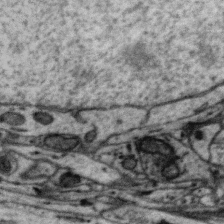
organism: Zebra finch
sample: Brain